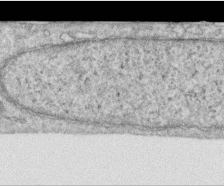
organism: Human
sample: Centriole in RPE cells